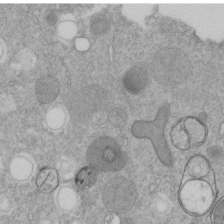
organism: C. elegans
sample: C. elegans embryo early stage